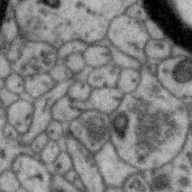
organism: Zebra finch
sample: Brain